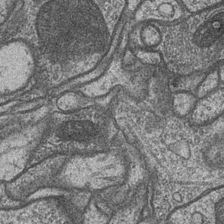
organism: Drosophila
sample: Optic medulla